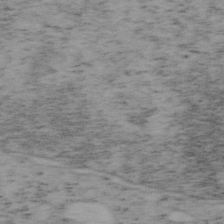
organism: Mouse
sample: OT-I killer T cells with ID8 ovarian cancer cells